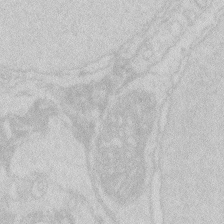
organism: Zebrafish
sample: Macrophage